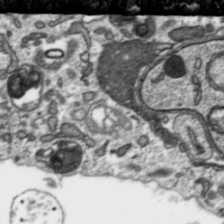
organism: Toxoplasma gondii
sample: Parasites in a vacuole inside a host cell